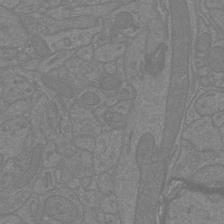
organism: Mouse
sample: Cortical neurons